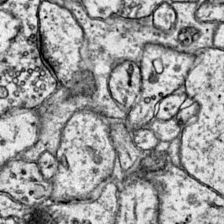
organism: Mouse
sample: Primary visual cortex